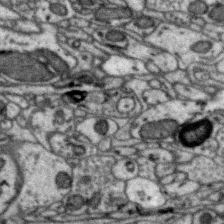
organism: Zebra finch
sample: Brain